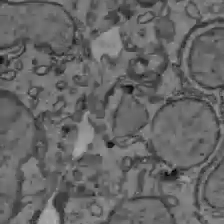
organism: C57BL Mouse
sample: Liver